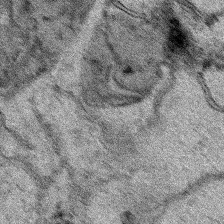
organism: Human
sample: Mitochondria in HCT116 cells